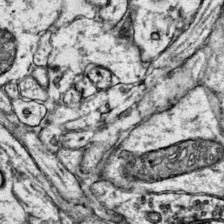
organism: Mouse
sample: Primary visual cortex